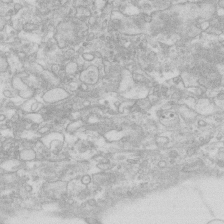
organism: Human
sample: Fibroblast cells